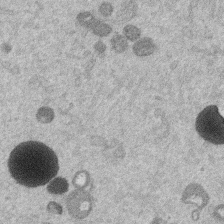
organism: Mouse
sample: Dividing mouse embryo 1 cell stage